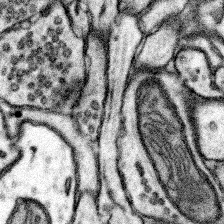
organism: Mouse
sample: Somatosensory cortex neuropil